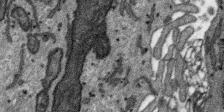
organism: Human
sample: Lung epithelial cells, uninfected (mock) control